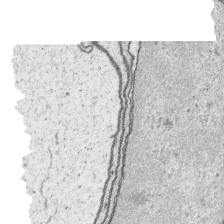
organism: Platynereis dumerilii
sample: Parapodia